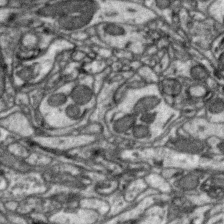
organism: Zebra finch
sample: Brain